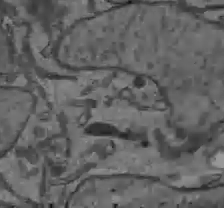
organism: C57BL Mouse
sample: Liver